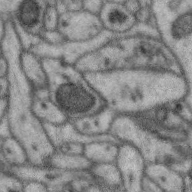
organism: Zebra finch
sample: Brain